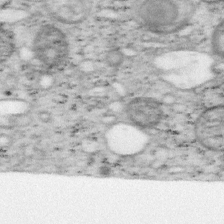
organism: Mouse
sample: OT-I killer T cells with ID8 ovarian cancer cells